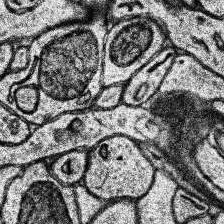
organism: Human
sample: Temporal Lobe